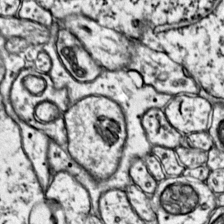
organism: Mouse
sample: Primary visual cortex